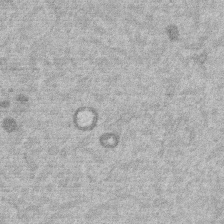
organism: Mouse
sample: Dividing mouse embryo 1 cell stage